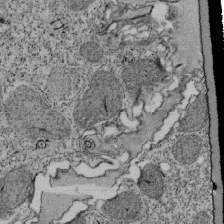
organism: Tetrahymena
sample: Cilia in tetrahymena